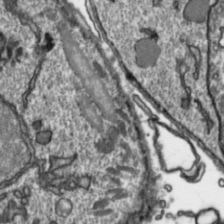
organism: Toxoplasma gondii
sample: Parasites in a vacuole inside a host cell